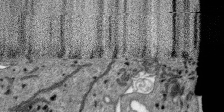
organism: Human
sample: Lung epithelial cells, uninfected (mock) control